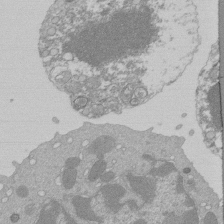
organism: Mouse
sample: Activated Pmel transgenic CD8+ T Cells